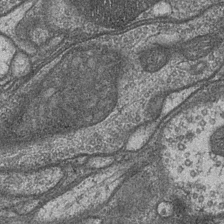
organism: Drosophila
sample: Optic medulla